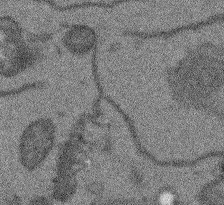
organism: Arabidopsis thaliana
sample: Root tip